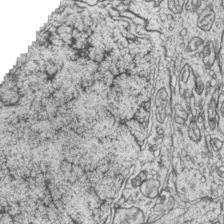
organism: Zebrafish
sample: synaptic ribbons in rod cells and cone cells